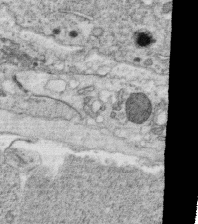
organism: C. elegans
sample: C. elegans oocyte; sperm cells